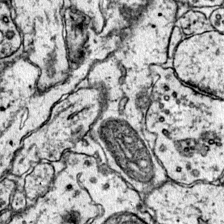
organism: Mouse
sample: Primary visual cortex